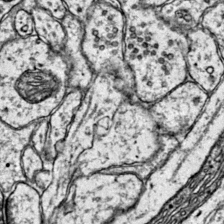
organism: Mouse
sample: Primary visual cortex